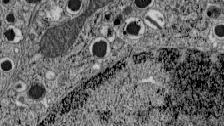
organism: C57BL Mouse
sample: Pancreatic islet